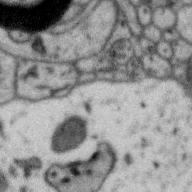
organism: Zebra finch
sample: Brain